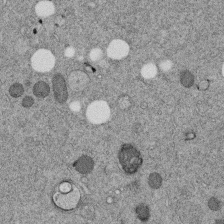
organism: C. elegans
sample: C. elegans embryo early stage